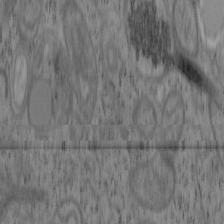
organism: Human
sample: HeLa cells